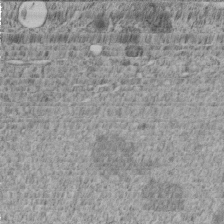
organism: C. elegans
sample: C. elegans embryo early stage